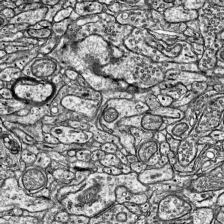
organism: Mouse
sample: Visual Cortex